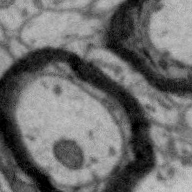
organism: Zebra finch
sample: Brain